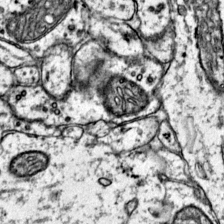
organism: Mouse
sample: Primary visual cortex